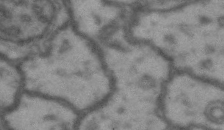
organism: Drosophila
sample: Brain